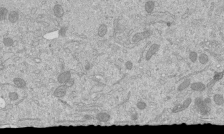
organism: Mouse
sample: ED-1 cell nuclei; centrioles